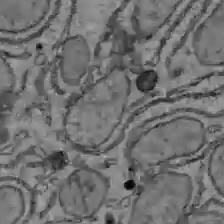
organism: C57BL Mouse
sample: Liver